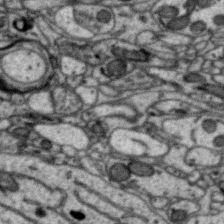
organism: Zebra finch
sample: Brain